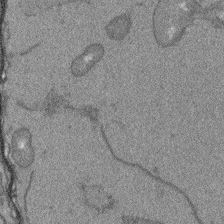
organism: Arabidopsis thaliana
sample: Root tip